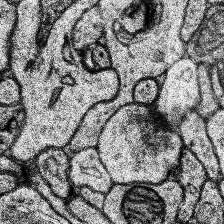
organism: Human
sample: Temporal Lobe